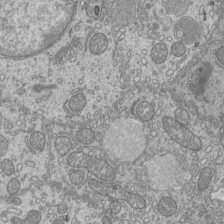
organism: Mouse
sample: Cilia; mouse epididymis